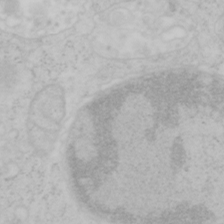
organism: Mouse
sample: OT-I killer T cells with ID8 ovarian cancer cells